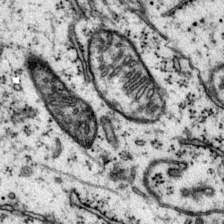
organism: Mouse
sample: Primary visual cortex